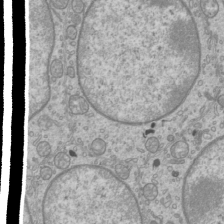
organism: Mouse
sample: Cilia; mouse epididymis